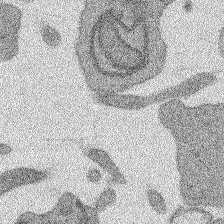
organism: Human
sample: HeLa cells